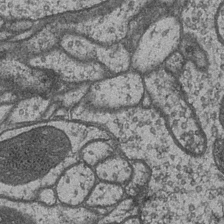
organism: Drosophila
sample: Optic medulla